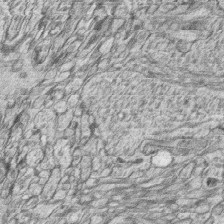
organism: Zebrafish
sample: synaptic ribbons in rod cells and cone cells